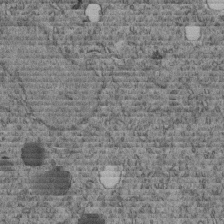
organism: C. elegans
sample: C. elegans embryo early stage